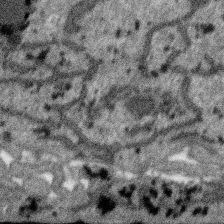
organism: Human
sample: Lung epithelial cells infected with SARS-CoV-2